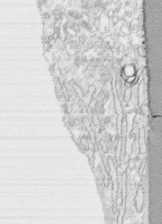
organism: Human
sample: CRL-1474